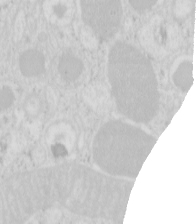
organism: Mouse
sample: Pancreas